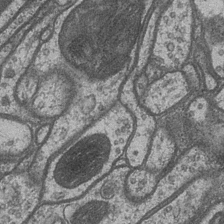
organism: Drosophila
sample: Optic medulla